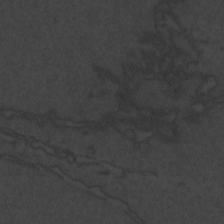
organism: Zebrafish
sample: Macrophage infected with Toxoplasma gondii